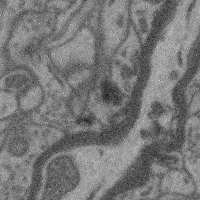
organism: Mouse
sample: Cerebral cortex